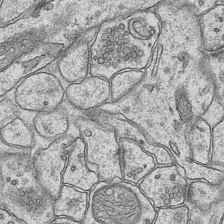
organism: Mouse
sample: CA1 Hippocampus